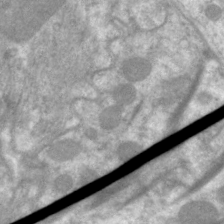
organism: C. elegans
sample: Pharynx